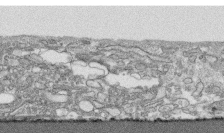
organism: Human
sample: CRL-1474